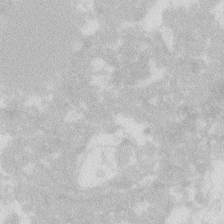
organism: Zebrafish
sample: Macrophage